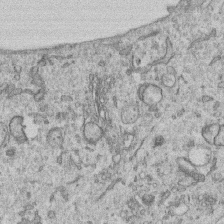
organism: Human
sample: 1205lu cells